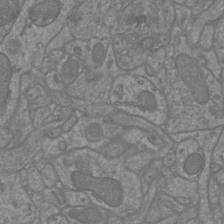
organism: Mouse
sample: Cortical neurons